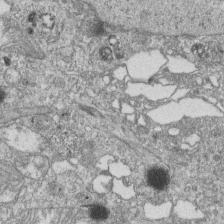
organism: Human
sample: HeLa cell HIV synapse